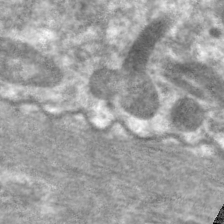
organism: C. elegans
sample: Pharynx